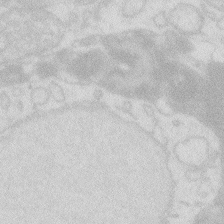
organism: Zebrafish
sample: Macrophage